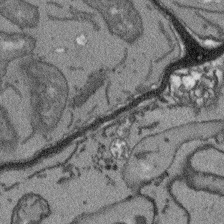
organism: Arabidopsis thaliana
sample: Root tip